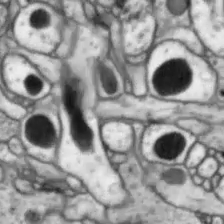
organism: Drosophila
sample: Optic lobe